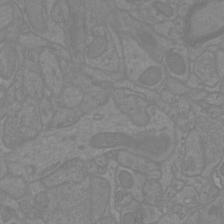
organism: Mouse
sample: Cortical neurons